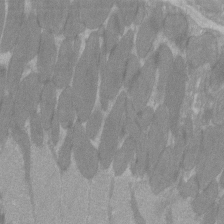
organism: C57BL Mouse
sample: Tibialis anterior muscle cell